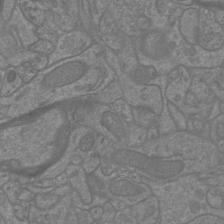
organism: Mouse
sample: Cortical neurons